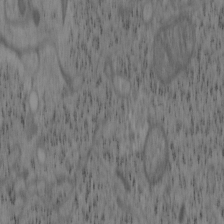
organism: Human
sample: HeLa cells